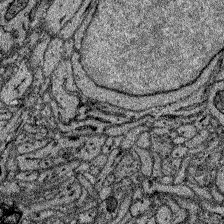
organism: Zebrafish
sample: Larval olfactory bulb